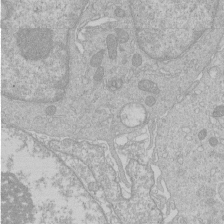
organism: Human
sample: Macrophage cells